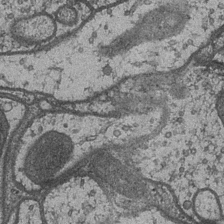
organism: Drosophila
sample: Optic medulla